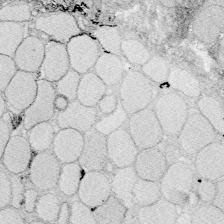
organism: Zebrafish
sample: Whole-Brain